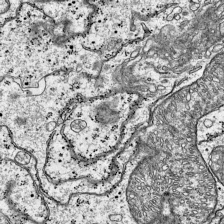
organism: Mouse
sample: Visual Cortex